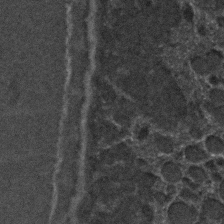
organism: C. elegans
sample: C. elegans embryo